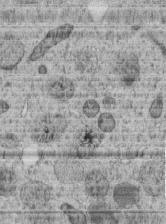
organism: C. elegans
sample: C. elegans embryo early stage